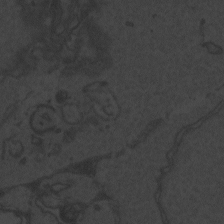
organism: Zebrafish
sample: Macrophage infected with Toxoplasma gondii